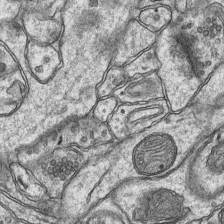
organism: Mouse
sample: CA1 Hippocampus